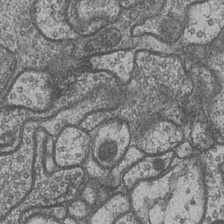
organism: Drosophila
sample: Optic medulla